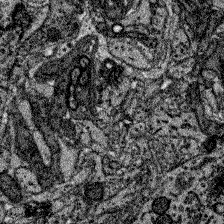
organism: Zebrafish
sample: Larval olfactory bulb